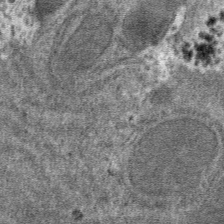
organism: Mouse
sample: Mouse hepatocytes